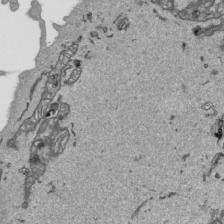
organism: Human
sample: Mitochondria in HCT116 cells